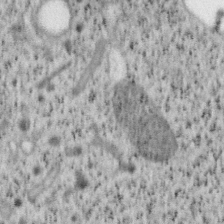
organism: Mouse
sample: OT-I killer T cells with ID8 ovarian cancer cells